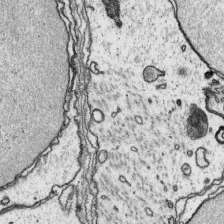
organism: Platynereis dumerilii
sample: Parapodia